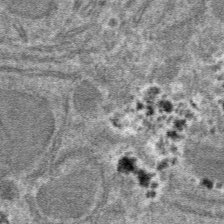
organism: Mouse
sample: Mouse hepatocytes